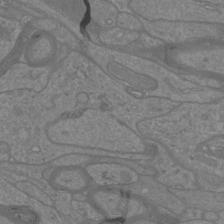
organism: Mouse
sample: Cortical neurons